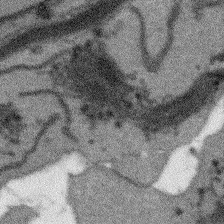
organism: Arabidopsis thaliana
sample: Root tip